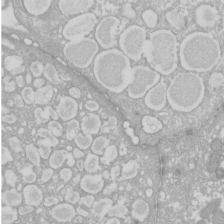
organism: Xenopus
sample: Cilia; centrioles in frog embryo cells